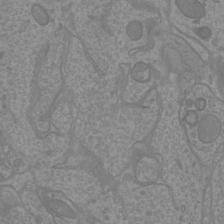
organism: Mouse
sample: Cortical neurons